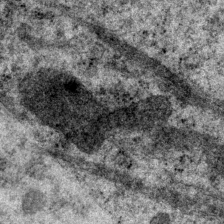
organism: P. pacificus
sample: Pharynx